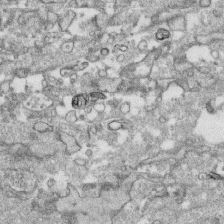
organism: Human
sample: CRL-1474